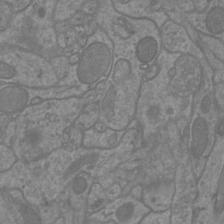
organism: Mouse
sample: Cortical neurons